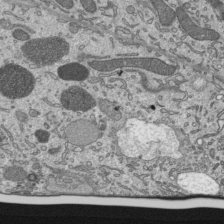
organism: Mouse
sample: Mouse epididymis efferent ductule cilia